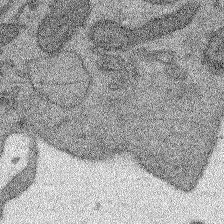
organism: Human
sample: HeLa cells